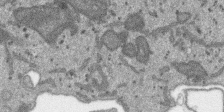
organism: Human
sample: Lung epithelial cells infected with SARS-CoV-2